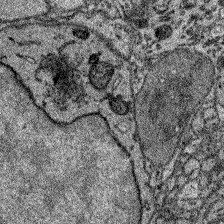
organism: Zebrafish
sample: Larval olfactory bulb